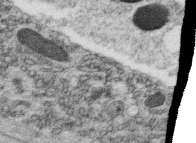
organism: C. elegans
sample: C. elegans oocyte; sperm cells